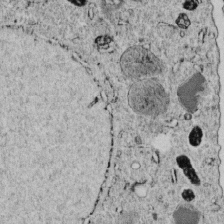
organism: C. elegans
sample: C. elegans embryo early stage